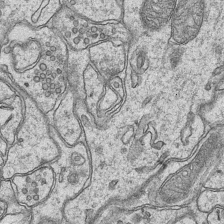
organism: Mouse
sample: CA1 Hippocampus